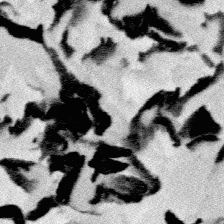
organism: Platynereis dumerilii